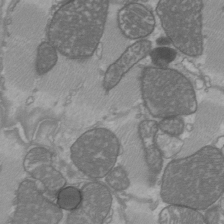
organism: C57BL Mouse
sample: Heart